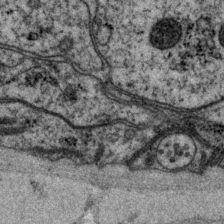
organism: P. pacificus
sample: Pharynx